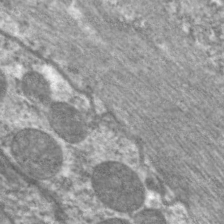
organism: C. elegans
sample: Pharynx